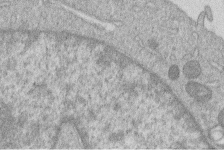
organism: Human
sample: Macrophage cells